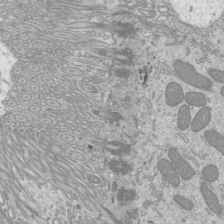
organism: Mouse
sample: Cilia; mouse epididymis